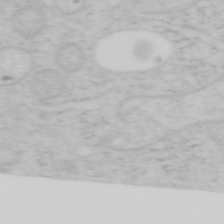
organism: Mouse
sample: OT-I killer T cells with ID8 ovarian cancer cells